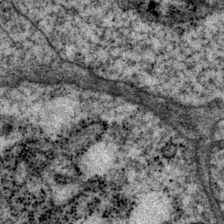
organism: P. pacificus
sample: Pharynx